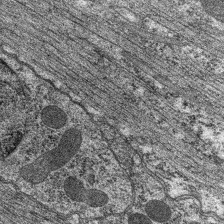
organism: C. elegans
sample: Pharynx